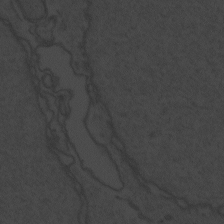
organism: Zebrafish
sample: Macrophage infected with Toxoplasma gondii